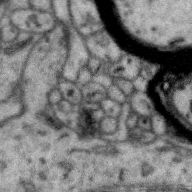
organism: Zebra finch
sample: Brain